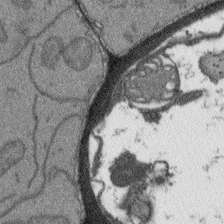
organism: Arabidopsis thaliana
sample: Root tip